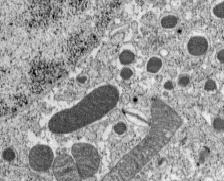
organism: C57BL Mouse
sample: Pancreatic islet